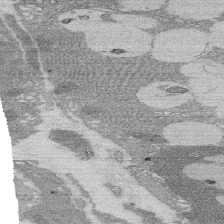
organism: Rat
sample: Salivary granule